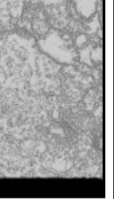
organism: Drosophila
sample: Cell division; meiosis; drosophila spermatocytes